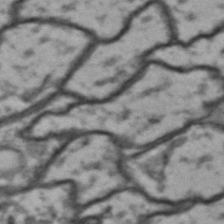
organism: Drosophila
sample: Brain